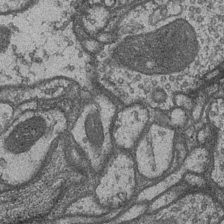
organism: Drosophila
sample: Optic medulla